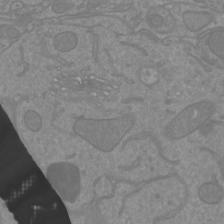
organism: Mouse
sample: Cortical neurons